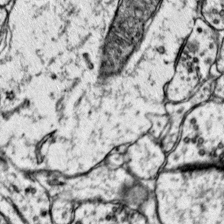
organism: Mouse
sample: Primary visual cortex